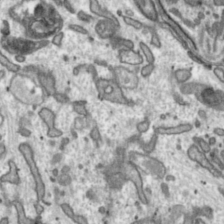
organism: Toxoplasma gondii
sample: Parasites in a vacuole inside a host cell